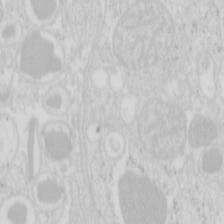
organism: Mouse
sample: Pancreas